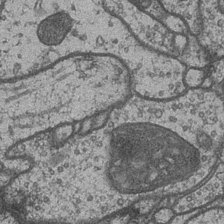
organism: Drosophila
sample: Optic medulla